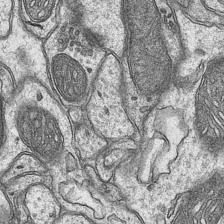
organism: Mouse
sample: CA1 Hippocampus